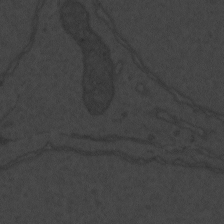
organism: Zebrafish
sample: Macrophage infected with Toxoplasma gondii